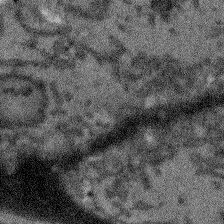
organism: Arabidopsis thaliana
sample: Root tip